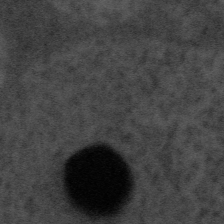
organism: Tuwongella immobilis